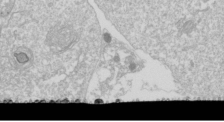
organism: Drosophila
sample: Cell division; meiosis; drosophila spermatocytes